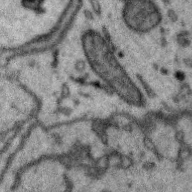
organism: Zebra finch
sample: Brain